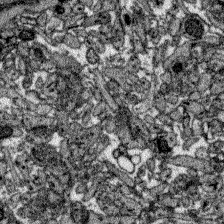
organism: Zebrafish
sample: Larval olfactory bulb